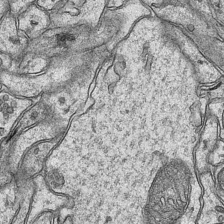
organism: Mouse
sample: CA1 Hippocampus